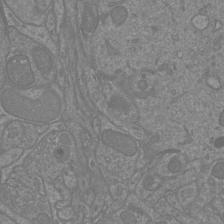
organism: Mouse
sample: Cortical neurons